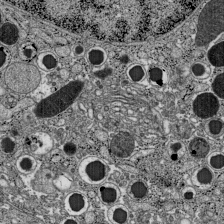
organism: C57BL Mouse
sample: Pancreatic islet